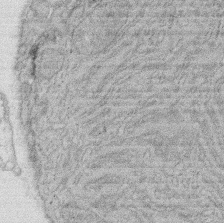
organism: Rat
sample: Salivary granule